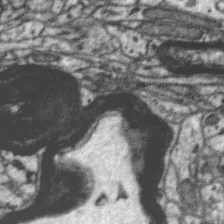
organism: Zebra finch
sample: Brain